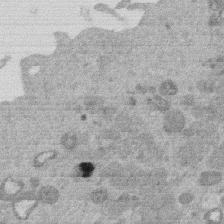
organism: Mouse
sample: Dividing mouse embryo 1 cell stage